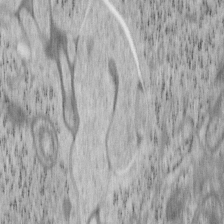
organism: Human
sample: HeLa cells